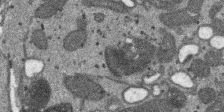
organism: Human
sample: Lung epithelial cells infected with SARS-CoV-2